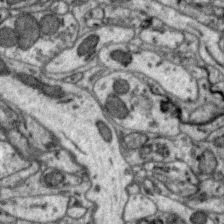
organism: Zebra finch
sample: Brain